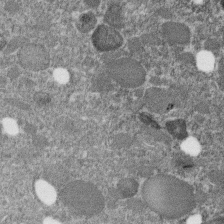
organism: C. elegans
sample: C. elegans embryo early stage